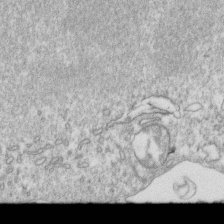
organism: Mouse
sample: Activated OT-1 CD8+ T cells